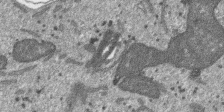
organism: Human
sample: Lung epithelial cells infected with SARS-CoV-2